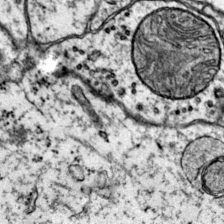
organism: Mouse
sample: Primary visual cortex